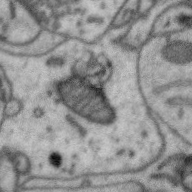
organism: Zebra finch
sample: Brain